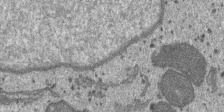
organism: Human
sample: Lung epithelial cells infected with SARS-CoV-2